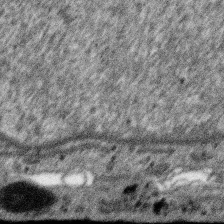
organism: Human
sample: Lung epithelial cells infected with SARS-CoV-2